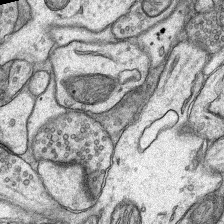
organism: Rat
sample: Hippocampus